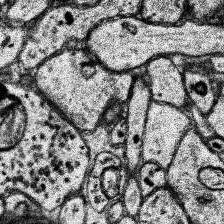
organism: Human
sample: Temporal Lobe